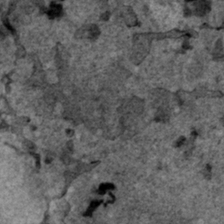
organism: Human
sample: Mitochondria in HCT116 cells